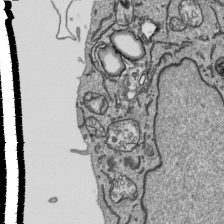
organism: Human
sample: Mitochondria in HCT116 cells